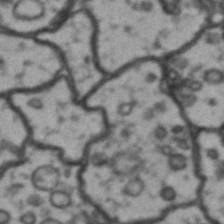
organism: Drosophila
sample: Brain